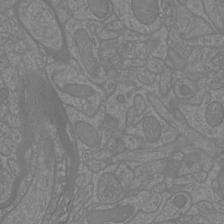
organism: Mouse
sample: Cortical neurons